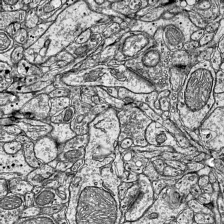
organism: Mouse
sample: Visual Cortex